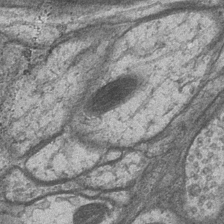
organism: Drosophila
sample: Optic medulla